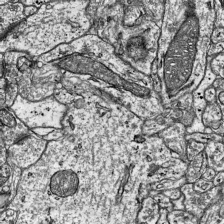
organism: Mouse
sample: Visual Cortex